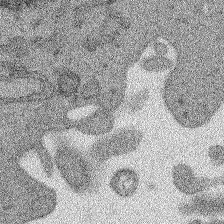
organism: Human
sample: HeLa cells